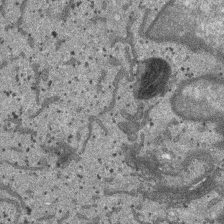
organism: Human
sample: Lung epithelial cells infected with SARS-CoV-2